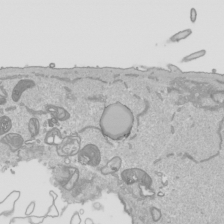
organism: Human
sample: Mitochondria in HCT116 cells